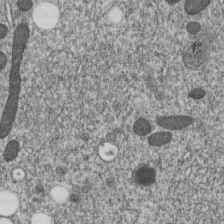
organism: C. elegans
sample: C. elegans embryo early stage